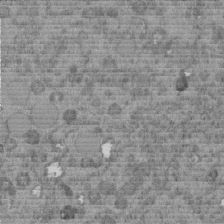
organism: C. elegans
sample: C. elegans embryo early stage